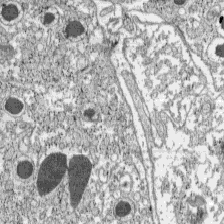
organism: C57BL Mouse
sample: Pancreatic islet